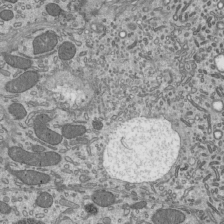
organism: Mouse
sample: Mouse epididymis efferent ductule cilia